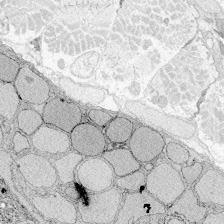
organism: Zebrafish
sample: Whole-Brain